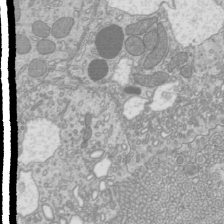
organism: Mouse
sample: Cilia; mouse epididymis